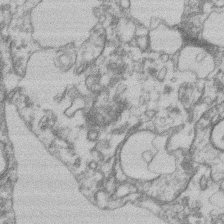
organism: Mouse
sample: T cell stromal cell synapse